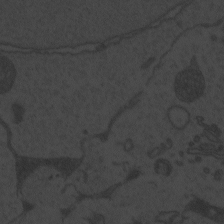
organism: Zebrafish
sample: Macrophage infected with Toxoplasma gondii